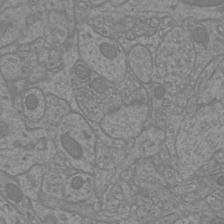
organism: Mouse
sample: Cortical neurons